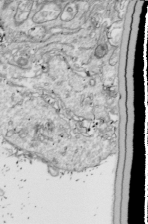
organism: Drosophila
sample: Cell division; meiosis; drosophila spermatocytes